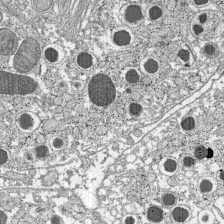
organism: C57BL Mouse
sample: Pancreatic islet